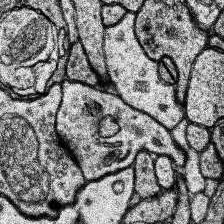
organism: Human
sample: Temporal Lobe